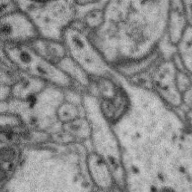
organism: Zebra finch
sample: Brain